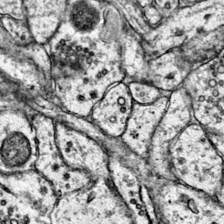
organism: Mouse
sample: Primary visual cortex